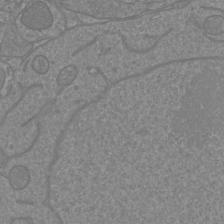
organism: Mouse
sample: Cortical neurons